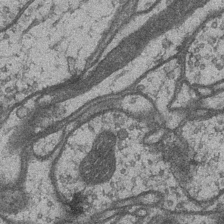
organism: Drosophila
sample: Optic medulla